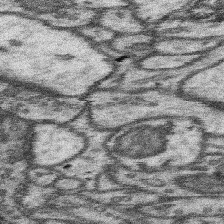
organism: Mouse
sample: Somatosensory cortex neuropil